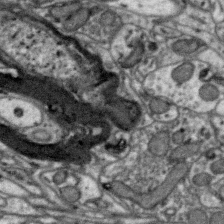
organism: Zebra finch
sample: Brain